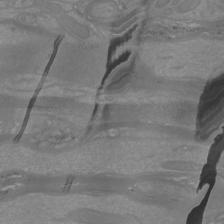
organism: Mouse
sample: Cortical neurons